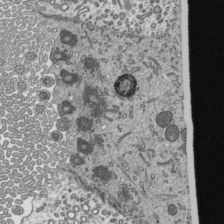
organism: Mouse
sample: Mouse epididymis efferent ductule cilia